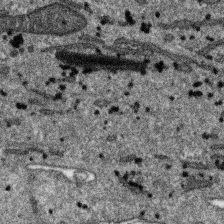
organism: Human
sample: Lung epithelial cells infected with SARS-CoV-2